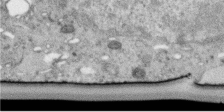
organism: Human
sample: Centriole in RPE cells